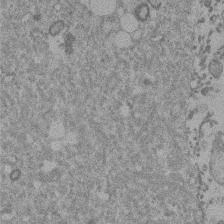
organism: Mouse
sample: Dividing mouse embryo 1 cell stage